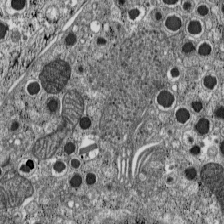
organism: C57BL Mouse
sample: Pancreatic islet